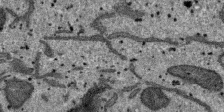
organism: Human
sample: Lung epithelial cells, uninfected (mock) control